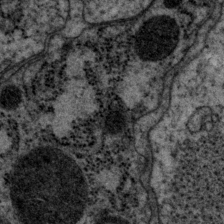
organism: P. pacificus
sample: Pharynx